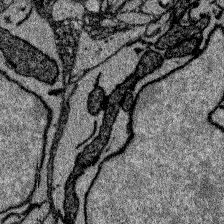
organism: Zebrafish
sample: Larval olfactory bulb